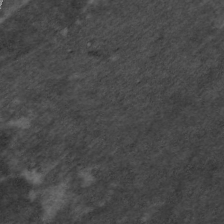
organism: C. elegans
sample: Pharynx